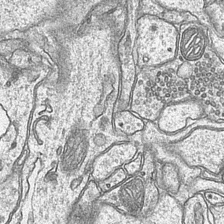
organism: Mouse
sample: CA1 Hippocampus